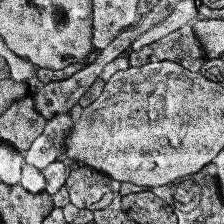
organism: Human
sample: Temporal Lobe